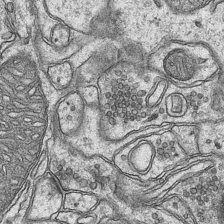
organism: Mouse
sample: CA1 Hippocampus